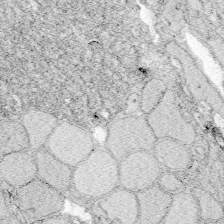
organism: Zebrafish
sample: Whole-Brain